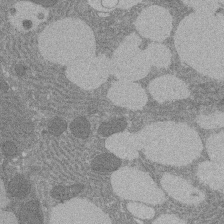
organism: Rat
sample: Salivary granule